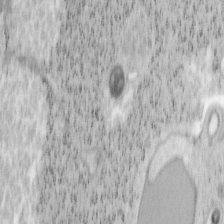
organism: Human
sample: HeLa cells